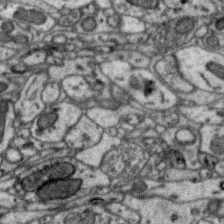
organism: Zebra finch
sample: Brain